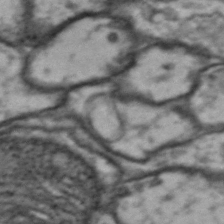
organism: Drosophila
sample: Brain